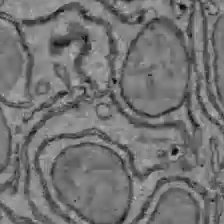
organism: C57BL Mouse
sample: Liver